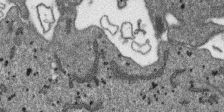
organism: Human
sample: Lung epithelial cells infected with SARS-CoV-2